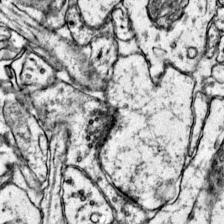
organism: Mouse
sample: Primary visual cortex